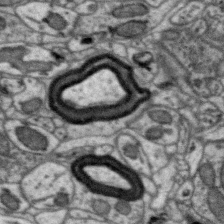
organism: Zebra finch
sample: Brain